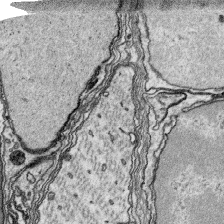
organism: Platynereis dumerilii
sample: Parapodia